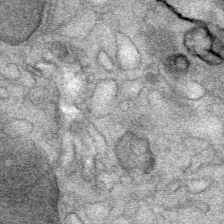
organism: Mouse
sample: Mouse Salivary gland